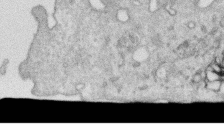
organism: Human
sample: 1205lu cells